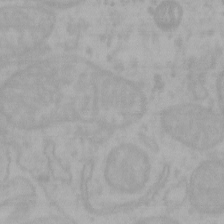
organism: Mouse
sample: Choroid plexus